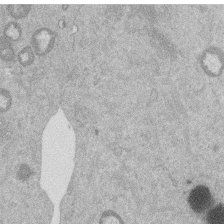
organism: Mouse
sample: Dividing mouse embryo 1 cell stage